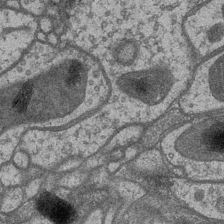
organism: Drosophila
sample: Optic medulla